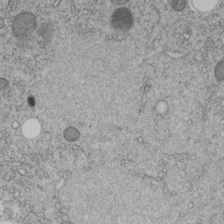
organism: C. elegans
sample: C. elegans embryo early stage